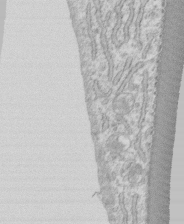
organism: Human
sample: CRL-1474